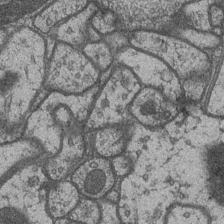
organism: Drosophila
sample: Optic medulla